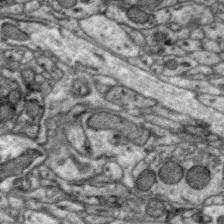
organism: Zebra finch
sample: Brain